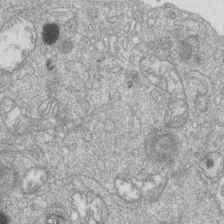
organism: Human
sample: HeLa cell HIV synapse